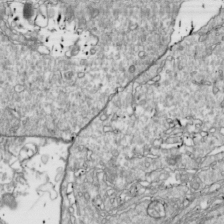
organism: Drosophila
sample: Cell division; meiosis; drosophila spermatocytes